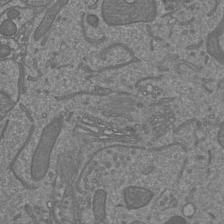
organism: Mouse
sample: Cortical neurons